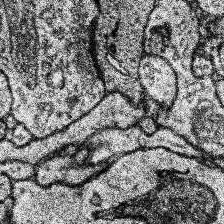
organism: Human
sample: Temporal Lobe